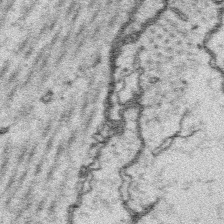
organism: Platynereis dumerilii